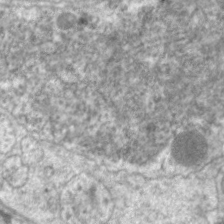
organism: C. elegans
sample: Pharynx